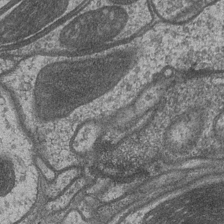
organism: Drosophila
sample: Optic medulla